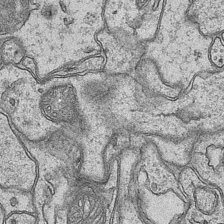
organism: Mouse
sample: CA1 Hippocampus